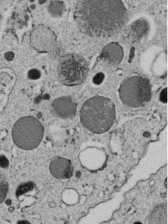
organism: C. elegans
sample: C. elegans embryo early stage